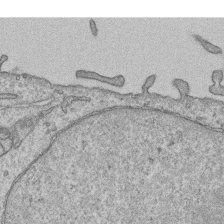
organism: Human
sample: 1205lu cells